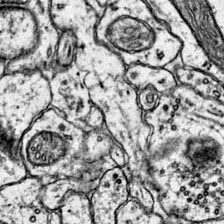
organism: Mouse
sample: Primary visual cortex